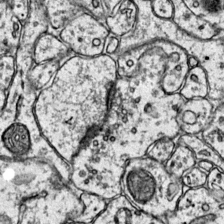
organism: Mouse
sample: Primary visual cortex